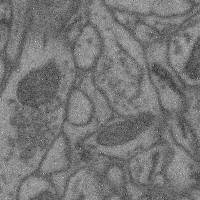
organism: Mouse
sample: Cerebral cortex